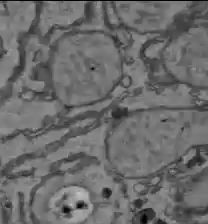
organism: C57BL Mouse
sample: Liver